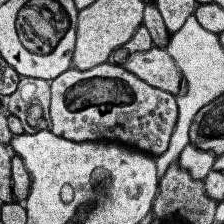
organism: Human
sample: Temporal Lobe